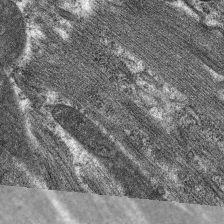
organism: C. elegans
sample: Pharynx